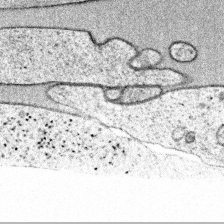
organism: Human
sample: HeLa cells